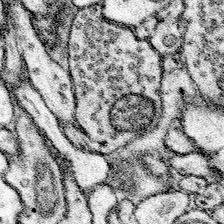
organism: Mouse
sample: Somatosensory cortex neuropil